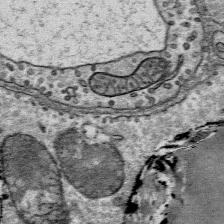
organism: Mouse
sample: Mouse Salivary gland